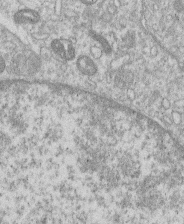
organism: Human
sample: Macrophage cells